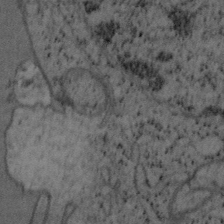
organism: Human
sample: HeLa cells